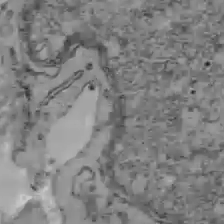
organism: C57BL Mouse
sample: Liver